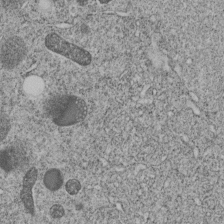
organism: C. elegans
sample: C. elegans embryo early stage